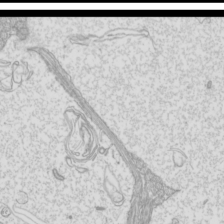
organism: Mouse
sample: Cilia; mouse epididymis